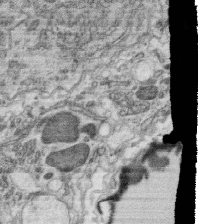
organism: C. elegans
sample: C. elegans oocyte; sperm cells